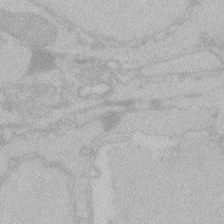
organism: Zebrafish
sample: Macrophage infected with Toxoplasma gondii